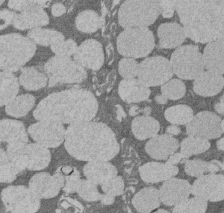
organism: Rat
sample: Salivary granule